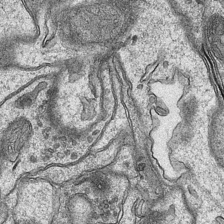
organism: Mouse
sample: CA1 Hippocampus